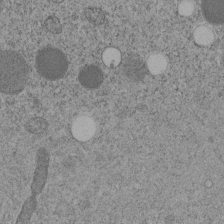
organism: C. elegans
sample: C. elegans embryo early stage